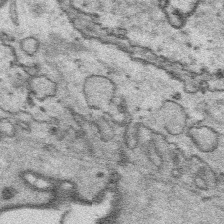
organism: Platynereis dumerilii